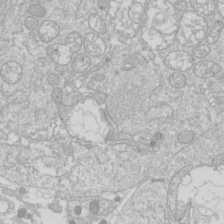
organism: Drosophila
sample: Cell division; meiosis; drosophila spermatocytes